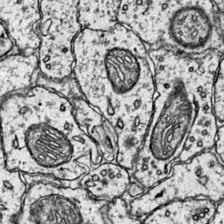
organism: Mouse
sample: Primary visual cortex